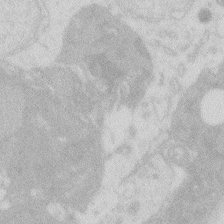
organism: Zebrafish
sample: Macrophage